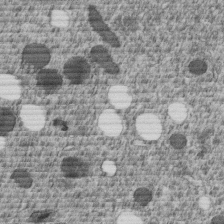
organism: C. elegans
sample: C. elegans embryo early stage